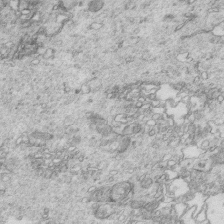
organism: Mouse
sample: Multiciliated cells